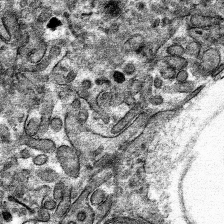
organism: Mouse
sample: Mouse hepatocytes